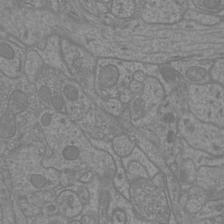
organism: Mouse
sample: Cortical neurons